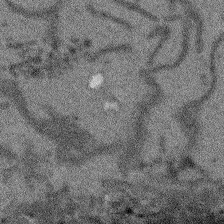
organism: Arabidopsis thaliana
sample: Root tip